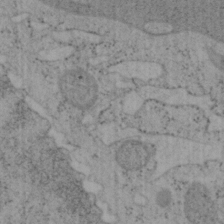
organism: Mouse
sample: OT-I killer T cells with ID8 ovarian cancer cells